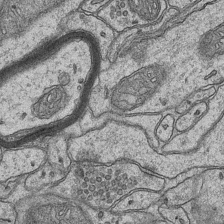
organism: Mouse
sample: CA1 Hippocampus